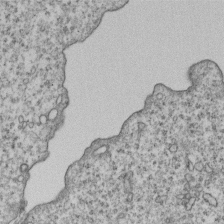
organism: Human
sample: MDA-MB-231 cells